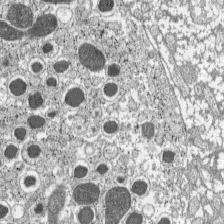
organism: C57BL Mouse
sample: Pancreatic islet